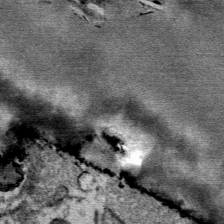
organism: Mouse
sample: Mouse Salivary gland